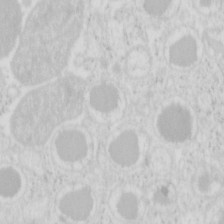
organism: Mouse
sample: Pancreas